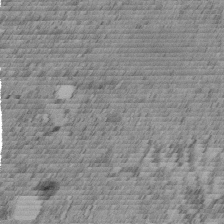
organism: C. elegans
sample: C. elegans embryo early stage